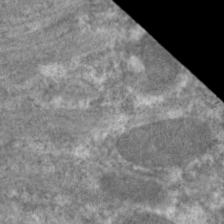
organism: C. elegans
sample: Pharynx